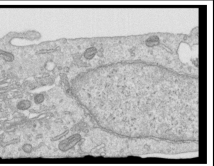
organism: Human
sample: Centriole in RPE cells